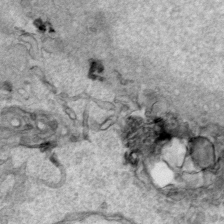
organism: Human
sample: Mitochondria in HCT116 cells